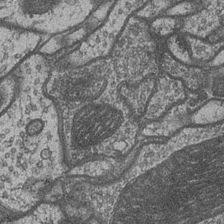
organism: Drosophila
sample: Optic medulla